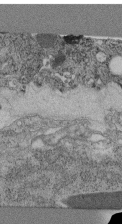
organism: C. elegans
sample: C. elegans pharynx